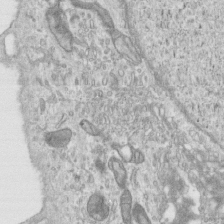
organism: Human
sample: Centriole in RPE cells